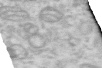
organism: Human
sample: Centriole in RPE cells